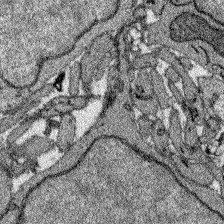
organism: Zebrafish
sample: Larval olfactory bulb